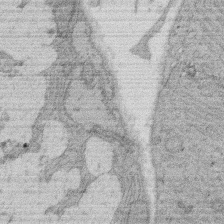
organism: Rat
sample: Salivary granule